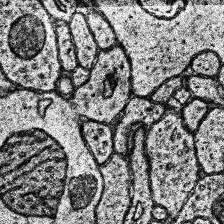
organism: Human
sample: Temporal Lobe